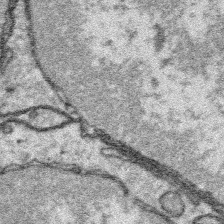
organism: Platynereis dumerilii